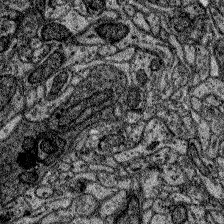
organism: Zebrafish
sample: Larval olfactory bulb